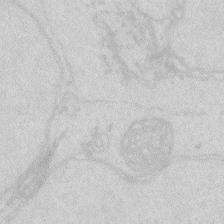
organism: Zebrafish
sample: Macrophage